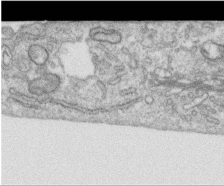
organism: Human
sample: Centriole in RPE cells